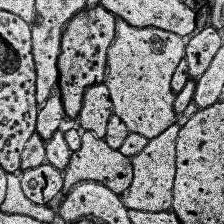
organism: Human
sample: Temporal Lobe